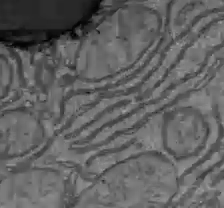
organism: C57BL Mouse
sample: Liver